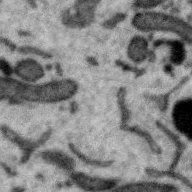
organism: Zebra finch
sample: Brain